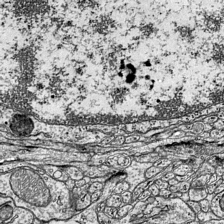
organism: Mouse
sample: Visual Cortex